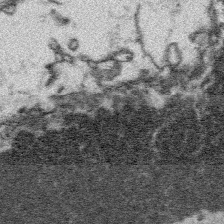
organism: Platynereis dumerilii